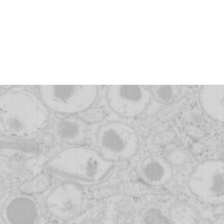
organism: Mouse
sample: Pancreas